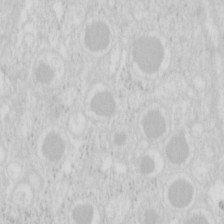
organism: Mouse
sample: Pancreas